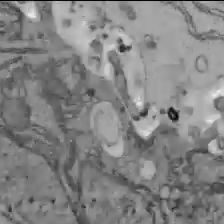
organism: C57BL Mouse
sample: Liver